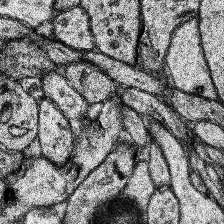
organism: Human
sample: Temporal Lobe